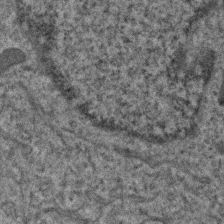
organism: Human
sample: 1205lu cells